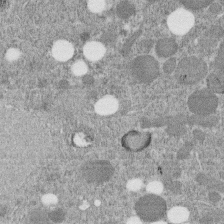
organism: C. elegans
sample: C. elegans embryo early stage